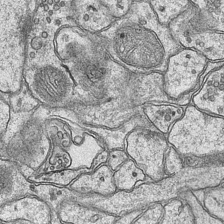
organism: Mouse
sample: CA1 Hippocampus